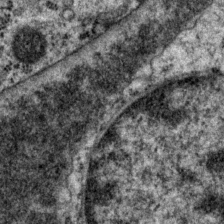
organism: P. pacificus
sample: Pharynx